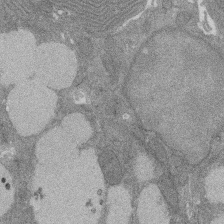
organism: Rat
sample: Salivary granule